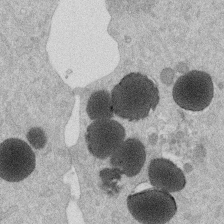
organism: Mouse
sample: Dividing mouse embryo 1 cell stage